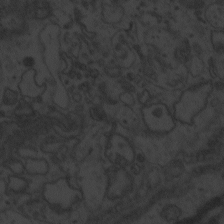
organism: Zebrafish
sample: Macrophage infected with Toxoplasma gondii